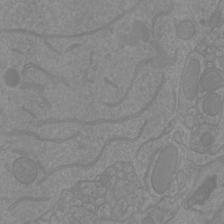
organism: Mouse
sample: Cortical neurons